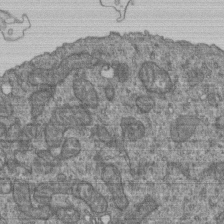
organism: Human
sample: Retinal organoid Rod and Cone cells